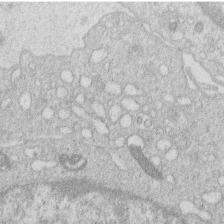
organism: Human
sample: Macrophage cells